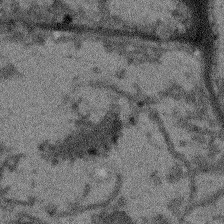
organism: Arabidopsis thaliana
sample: Root tip